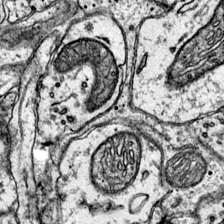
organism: Mouse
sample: Primary visual cortex